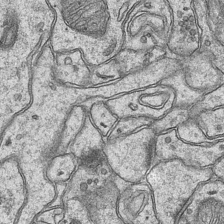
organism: Mouse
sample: CA1 Hippocampus